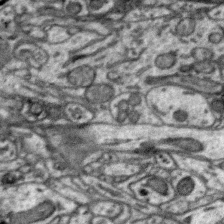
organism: Zebra finch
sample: Brain